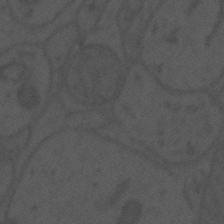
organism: Mouse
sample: Suprachiasmatic nucleus